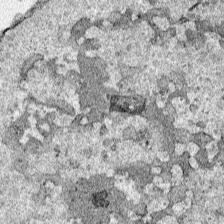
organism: Human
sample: Mitochondria in HCT116 cells